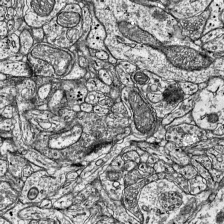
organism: Mouse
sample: Visual Cortex